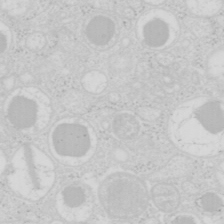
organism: Mouse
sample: Pancreas